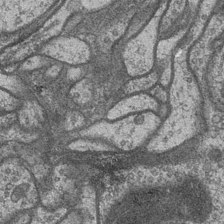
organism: Drosophila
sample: Optic medulla